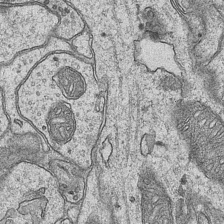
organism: Mouse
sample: CA1 Hippocampus